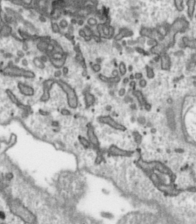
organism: Toxoplasma gondii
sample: Parasites in a vacuole inside a host cell